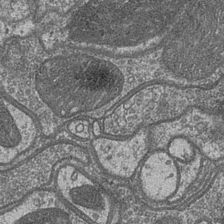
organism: Drosophila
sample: Optic medulla